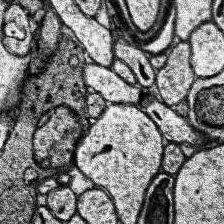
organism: Human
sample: Temporal Lobe